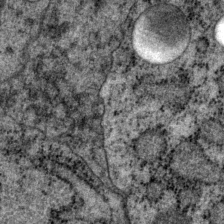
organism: P. pacificus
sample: Pharynx